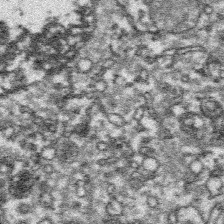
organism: Platynereis dumerilii